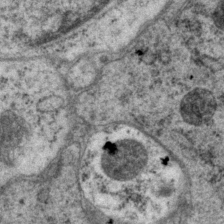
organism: P. pacificus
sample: Pharynx